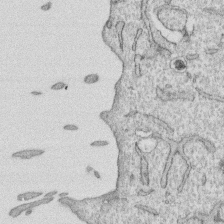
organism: Human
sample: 1205lu cells